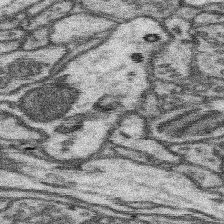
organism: Mouse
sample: Somatosensory cortex neuropil